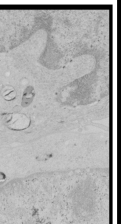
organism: Human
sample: Mitochondria in HCT116 cells